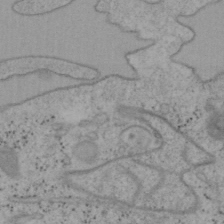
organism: Human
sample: HeLa cells